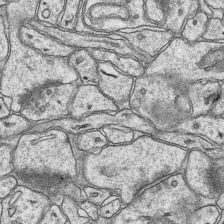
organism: Mouse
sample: CA1 Hippocampus